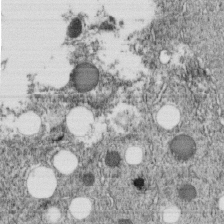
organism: C. elegans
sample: C. elegans embryo early stage